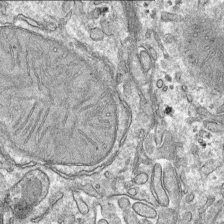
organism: Mouse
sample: Mouse hepatocytes